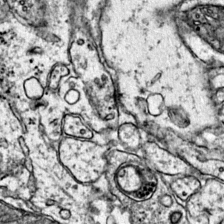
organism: Mouse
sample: Primary visual cortex